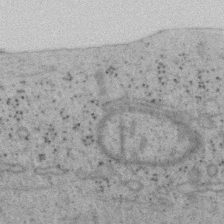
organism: Human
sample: HeLa cells